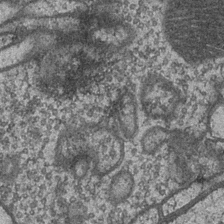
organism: Drosophila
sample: Optic medulla